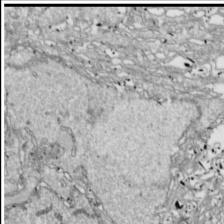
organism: Drosophila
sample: Cell division; meiosis; drosophila spermatocytes